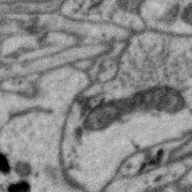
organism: Zebra finch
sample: Brain